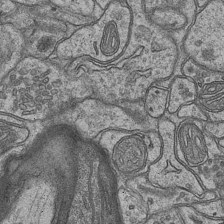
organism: Mouse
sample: CA1 Hippocampus